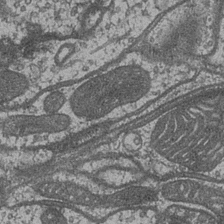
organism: Drosophila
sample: Optic medulla